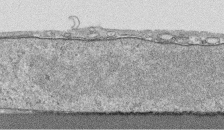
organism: Human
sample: CRL-1474